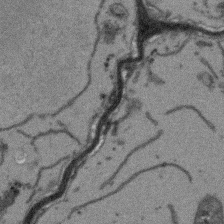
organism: Arabidopsis thaliana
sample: Root tip